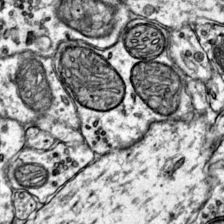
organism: Mouse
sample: Primary visual cortex